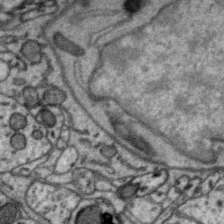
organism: Zebra finch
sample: Brain